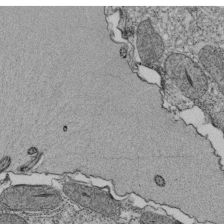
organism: Tetrahymena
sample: Cilia in tetrahymena